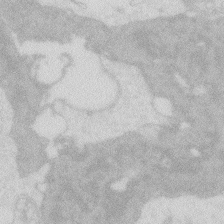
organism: Zebrafish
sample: Macrophage